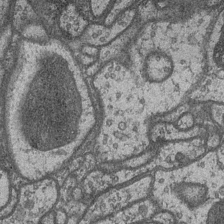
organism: Drosophila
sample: Optic medulla